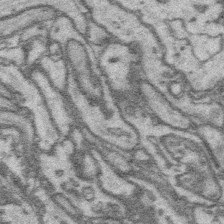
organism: Platynereis dumerilii